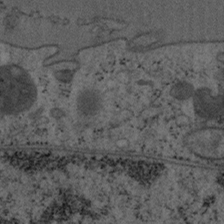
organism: Human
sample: HeLa cells